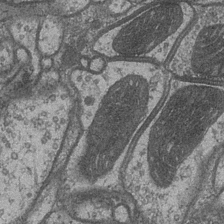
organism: Drosophila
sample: Optic medulla